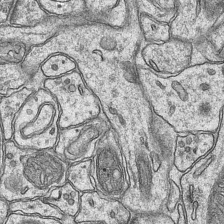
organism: Mouse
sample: CA1 Hippocampus